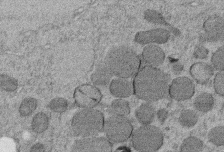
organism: C. elegans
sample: C. elegans embryo early stage